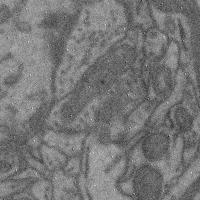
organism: Mouse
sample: Cerebral cortex